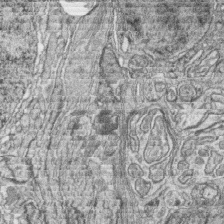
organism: Zebrafish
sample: synaptic ribbons in rod cells and cone cells